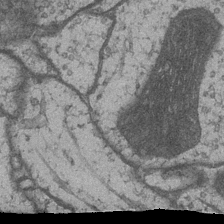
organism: Drosophila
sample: Optic medulla